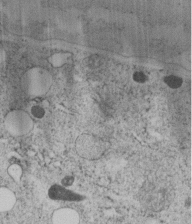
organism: C. elegans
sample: C. elegans embryo early stage